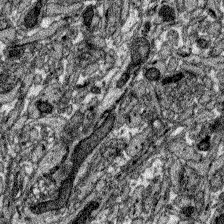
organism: Zebrafish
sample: Larval olfactory bulb